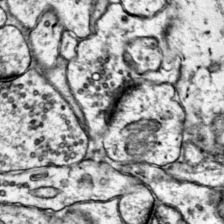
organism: Mouse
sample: Primary visual cortex